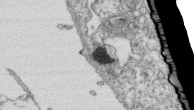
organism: Human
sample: HeLa cell HIV synapse